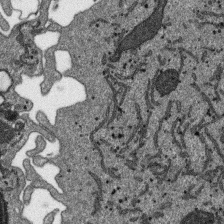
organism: Human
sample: Lung epithelial cells infected with SARS-CoV-2